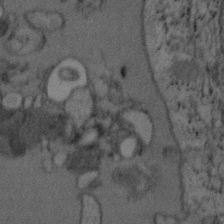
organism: Human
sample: HeLa cells